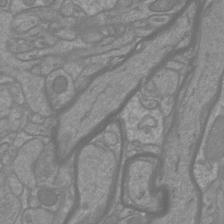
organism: Mouse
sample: Cortical neurons